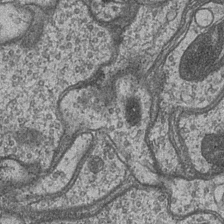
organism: Drosophila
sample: Optic medulla